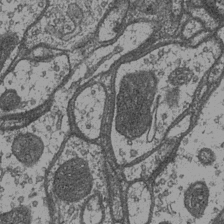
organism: Drosophila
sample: Optic medulla